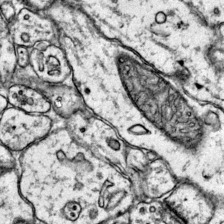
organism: Mouse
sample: Primary visual cortex